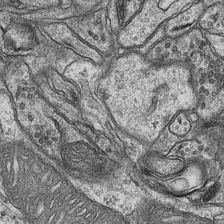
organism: Mouse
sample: CA1 Hippocampus